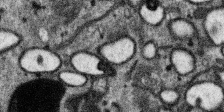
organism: Human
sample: Lung epithelial cells infected with SARS-CoV-2